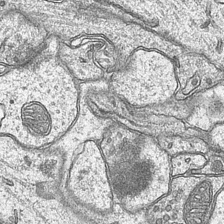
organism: Mouse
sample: CA1 Hippocampus